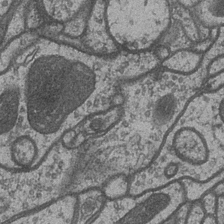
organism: Drosophila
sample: Optic medulla